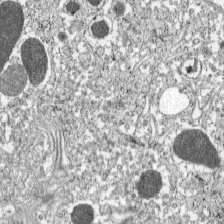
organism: C57BL Mouse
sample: Pancreatic islet